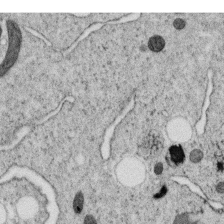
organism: C. elegans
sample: C. elegans oocyte; sperm cells